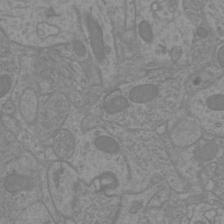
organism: Mouse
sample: Cortical neurons